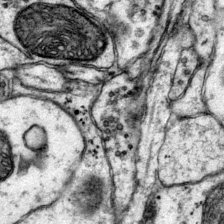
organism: Mouse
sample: Primary visual cortex